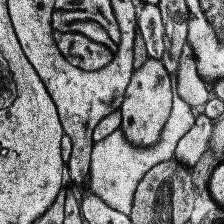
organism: Human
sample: Temporal Lobe